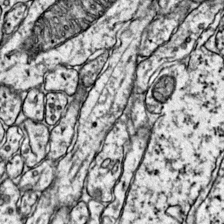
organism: Mouse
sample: Primary visual cortex